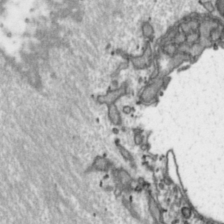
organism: Toxoplasma gondii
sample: Parasites in a vacuole inside a host cell